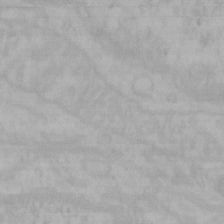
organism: Mouse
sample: Choroid plexus